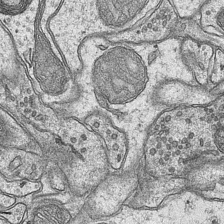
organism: Mouse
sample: CA1 Hippocampus